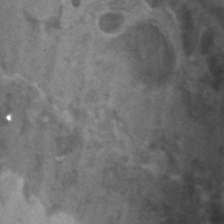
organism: Zebrafish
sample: Zebrafish embryo